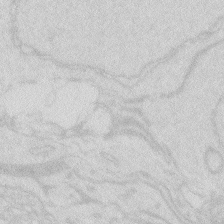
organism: Zebrafish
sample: Macrophage